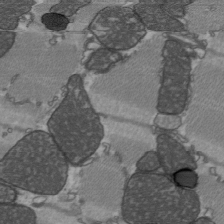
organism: C57BL Mouse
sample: Heart